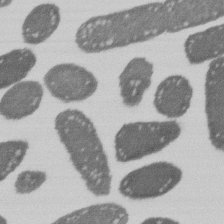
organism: E. coli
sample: Bacterial nucleoid